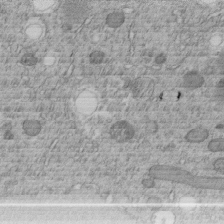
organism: C. elegans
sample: C. elegans embryo early stage